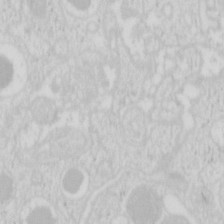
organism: Mouse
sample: Pancreas